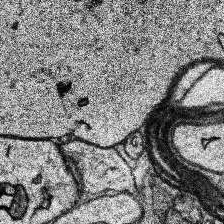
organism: Human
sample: Temporal Lobe